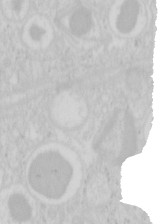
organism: Mouse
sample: Pancreas